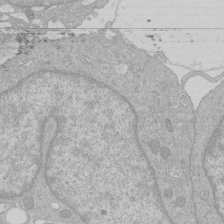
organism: Human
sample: Macrophage cells